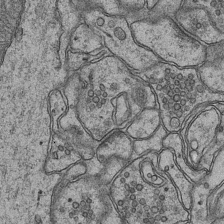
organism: Mouse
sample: CA1 Hippocampus